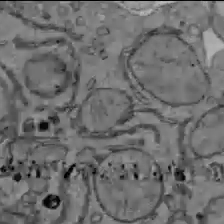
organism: C57BL Mouse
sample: Liver